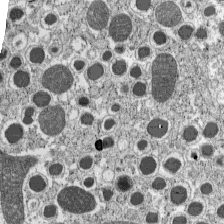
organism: C57BL Mouse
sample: Pancreatic islet